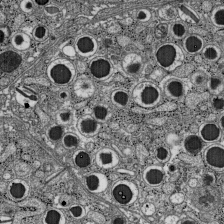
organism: C57BL Mouse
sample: Pancreatic islet